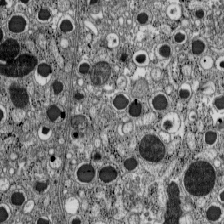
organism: C57BL Mouse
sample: Pancreatic islet